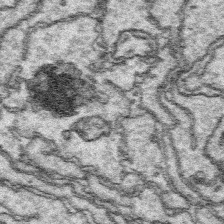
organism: Platynereis dumerilii